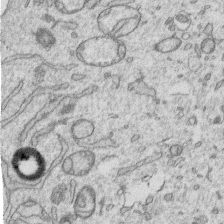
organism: Human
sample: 1205lu cells